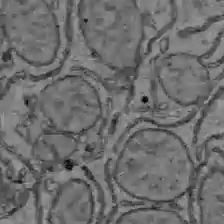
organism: C57BL Mouse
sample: Liver